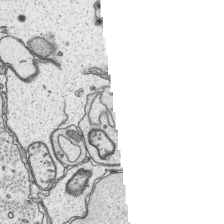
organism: Platynereis dumerilii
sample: Parapodia